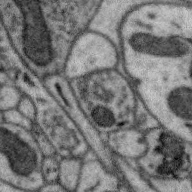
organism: Zebra finch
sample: Brain